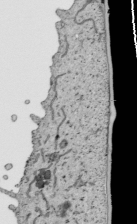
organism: Human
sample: Mitochondria in HCT116 cells